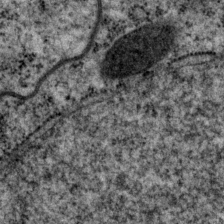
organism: P. pacificus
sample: Pharynx